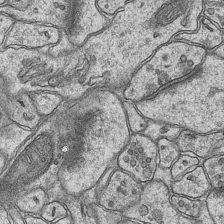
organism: Mouse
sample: CA1 Hippocampus